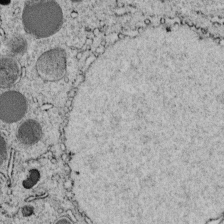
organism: C. elegans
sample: C. elegans embryo early stage